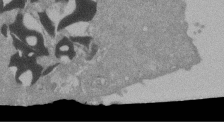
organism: Mouse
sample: ED-1 cell nuclei; centrioles